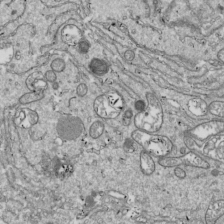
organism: Drosophila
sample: Cell division; meiosis; drosophila spermatocytes